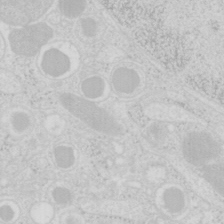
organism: Mouse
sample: Pancreas